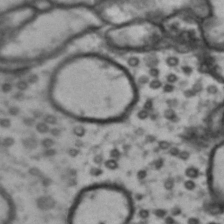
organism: Drosophila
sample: Brain